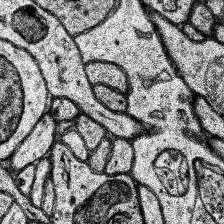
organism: Human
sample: Temporal Lobe